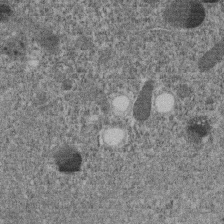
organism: C. elegans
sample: C. elegans embryo early stage